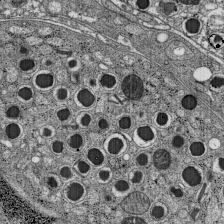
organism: C57BL Mouse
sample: Pancreatic islet